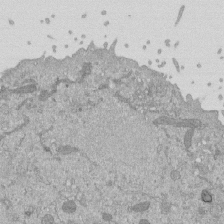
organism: Mouse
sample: ED-1 cell nuclei; centrioles